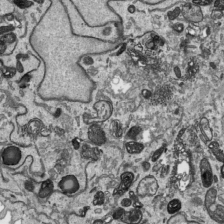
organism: Human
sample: Mitochondria in HCT116 cells